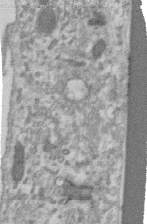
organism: Human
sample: Centriole in RPE cells